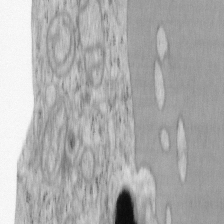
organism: Human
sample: HeLa cells